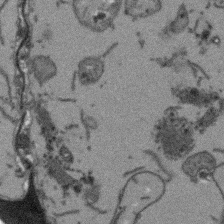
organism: Arabidopsis thaliana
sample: Root tip